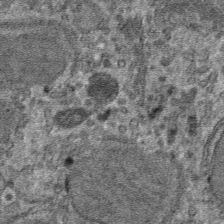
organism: Mouse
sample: Mouse hepatocytes